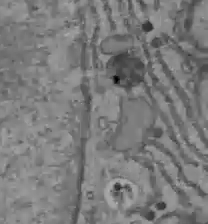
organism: C57BL Mouse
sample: Liver